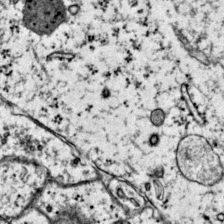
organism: Mouse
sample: Primary visual cortex